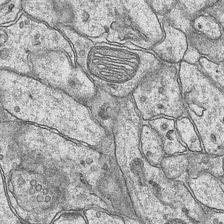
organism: Mouse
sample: CA1 Hippocampus